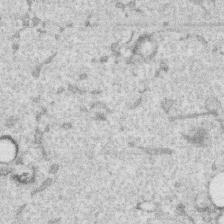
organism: Human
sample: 1205lu cells